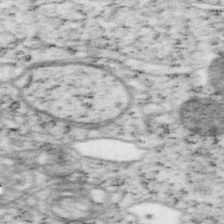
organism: Mouse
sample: OT-I killer T cells with ID8 ovarian cancer cells